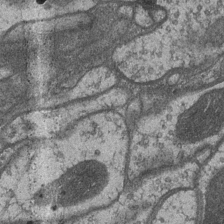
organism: Drosophila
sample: Optic medulla